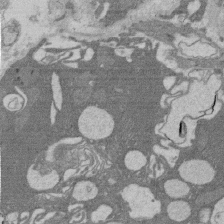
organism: Rat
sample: Salivary granule